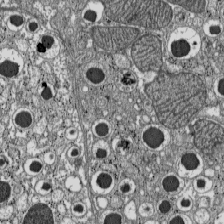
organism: C57BL Mouse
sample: Pancreatic islet